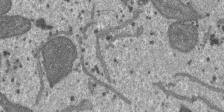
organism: Human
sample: Lung epithelial cells infected with SARS-CoV-2